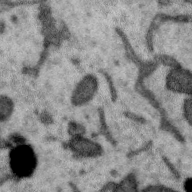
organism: Zebra finch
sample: Brain